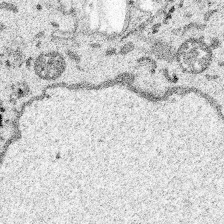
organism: Spongilla lacustris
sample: Multiple